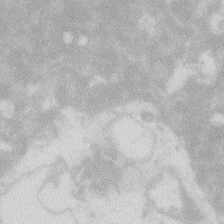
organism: Zebrafish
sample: Macrophage